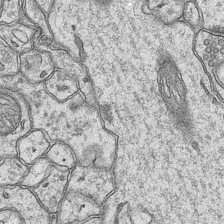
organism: Mouse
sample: CA1 Hippocampus